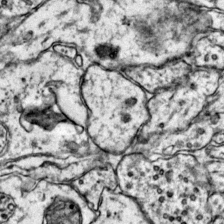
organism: Mouse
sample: Primary visual cortex